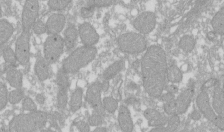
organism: Xenopus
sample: Cilia; centrioles in frog embryo cells